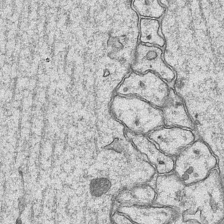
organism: Mouse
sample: CA1 Hippocampus